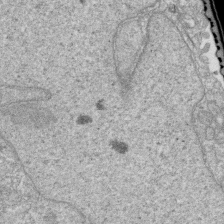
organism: Human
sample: HeLa cell HIV synapse